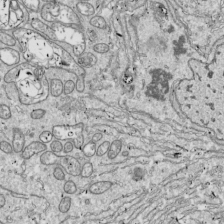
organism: Drosophila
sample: Cell division; meiosis; drosophila spermatocytes